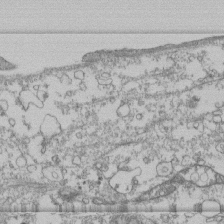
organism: Human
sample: Fibroblast cells